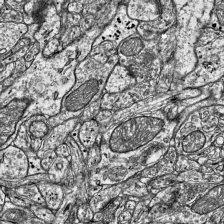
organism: Mouse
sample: Visual Cortex